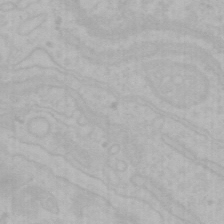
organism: Mouse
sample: Choroid plexus